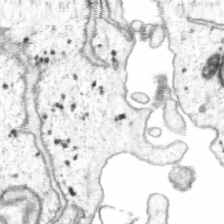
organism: Human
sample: HeLa cells